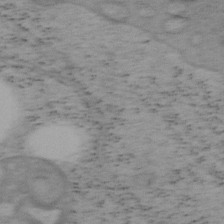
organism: Mouse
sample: OT-I killer T cells with ID8 ovarian cancer cells